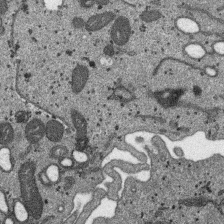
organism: Human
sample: Lung epithelial cells infected with SARS-CoV-2